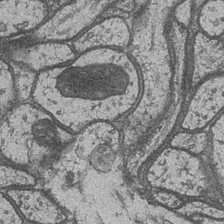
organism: Drosophila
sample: Optic medulla